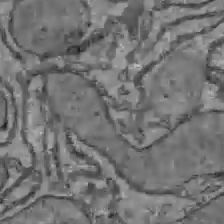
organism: C57BL Mouse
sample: Liver